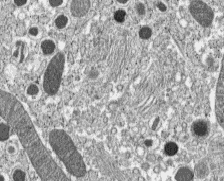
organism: C57BL Mouse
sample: Pancreatic islet